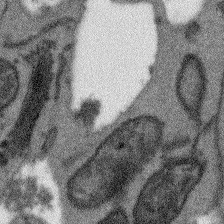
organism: Arabidopsis thaliana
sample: Root tip